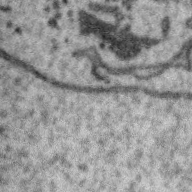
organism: Zebra finch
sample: Brain